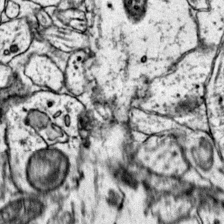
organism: Mouse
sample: Primary visual cortex